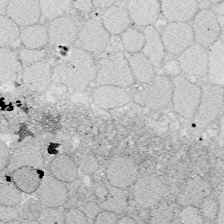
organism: Zebrafish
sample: Whole-Brain